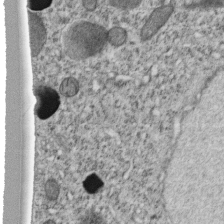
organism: C. elegans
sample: C. elegans embryo early stage